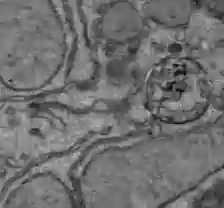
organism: C57BL Mouse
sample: Liver